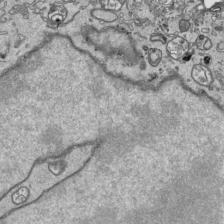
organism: Human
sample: Mitochondria in HCT116 cells